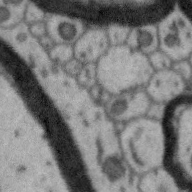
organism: Zebra finch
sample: Brain